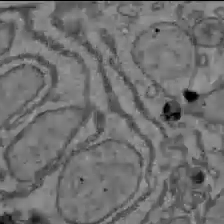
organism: C57BL Mouse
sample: Liver